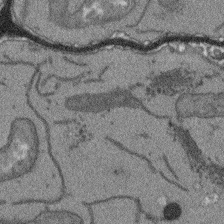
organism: Arabidopsis thaliana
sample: Root tip